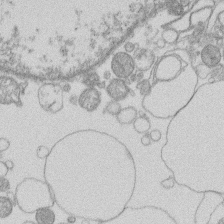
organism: Human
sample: Macrophage cells